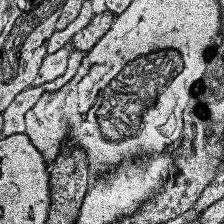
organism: Human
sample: Temporal Lobe